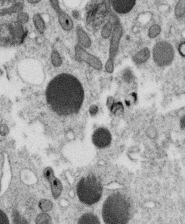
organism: C. elegans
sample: C. elegans oocyte; sperm cells